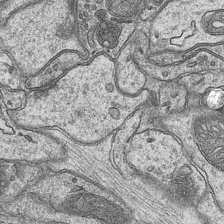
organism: Mouse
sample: CA1 Hippocampus